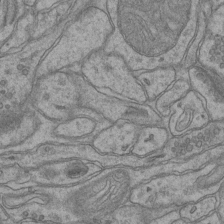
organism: Mouse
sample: CA1 Hippocampus